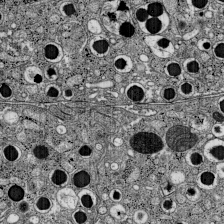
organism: C57BL Mouse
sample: Pancreatic islet